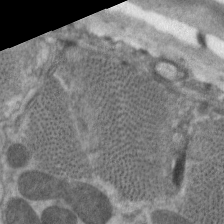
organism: C. elegans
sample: Pharynx